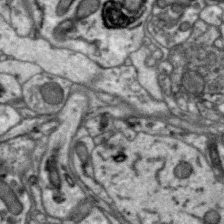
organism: Zebra finch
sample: Brain